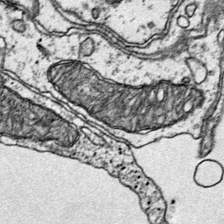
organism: Mouse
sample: Primary visual cortex